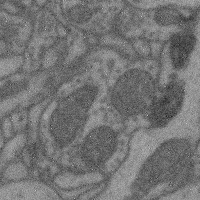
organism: Mouse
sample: Cerebral cortex